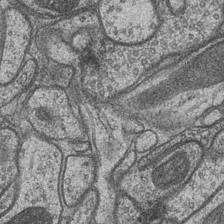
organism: Drosophila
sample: Optic medulla